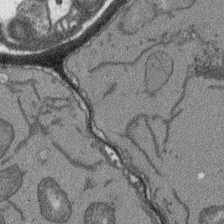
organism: Arabidopsis thaliana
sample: Root tip